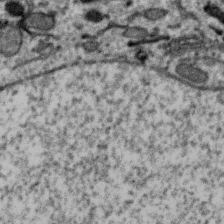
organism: Zebra finch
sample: Brain